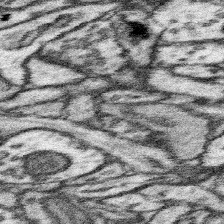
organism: Mouse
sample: Somatosensory cortex neuropil